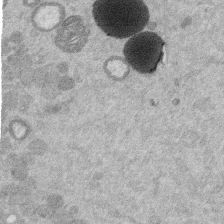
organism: Mouse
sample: Dividing mouse embryo 1 cell stage